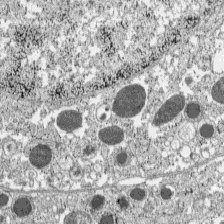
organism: C57BL Mouse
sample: Pancreatic islet